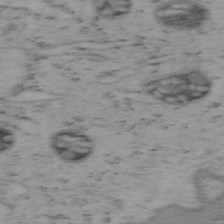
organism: Mouse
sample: OT-I killer T cells with ID8 ovarian cancer cells